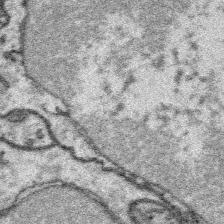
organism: Platynereis dumerilii